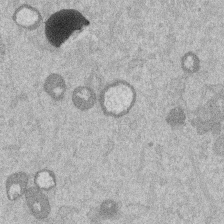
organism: Mouse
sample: Dividing mouse embryo 1 cell stage